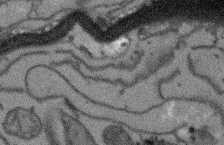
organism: Arabidopsis thaliana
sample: Root tip